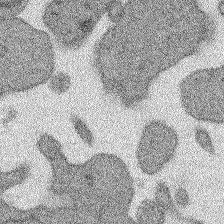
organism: Human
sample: HeLa cells